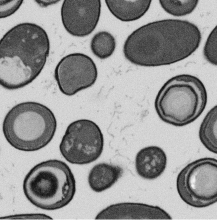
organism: B. subtilis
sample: Bacterial spore